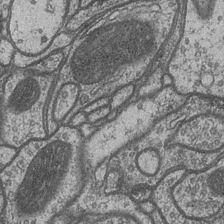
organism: Drosophila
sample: Optic medulla